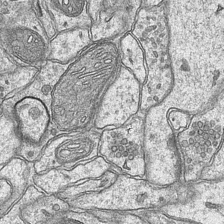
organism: Mouse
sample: CA1 Hippocampus